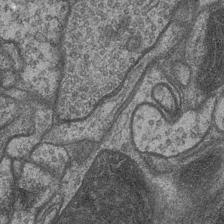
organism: Drosophila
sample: Optic medulla